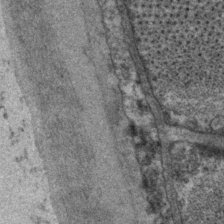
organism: P. pacificus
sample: Pharynx